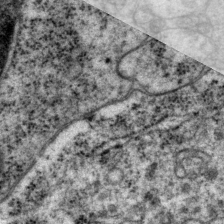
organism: P. pacificus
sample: Pharynx